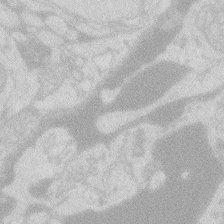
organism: Zebrafish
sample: Macrophage